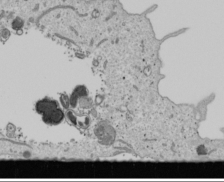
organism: Human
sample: Mitochondria in U2OS cells